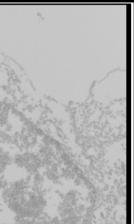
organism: Mouse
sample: Cancer cell death in ED-1 cells